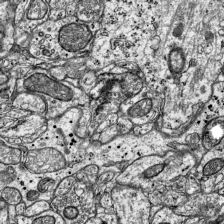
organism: Mouse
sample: Visual Cortex